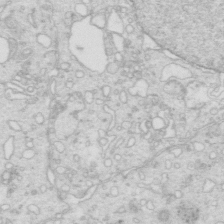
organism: Mouse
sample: Multiciliated cells